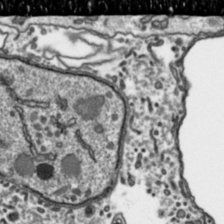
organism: Toxoplasma gondii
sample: Parasites in a vacuole inside a host cell